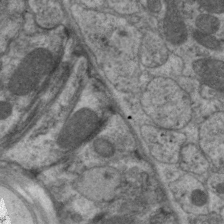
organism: C. elegans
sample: Pharynx